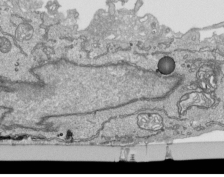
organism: Human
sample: Mitochondria in HCT116 cells